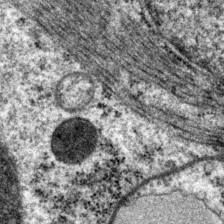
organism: P. pacificus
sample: Pharynx